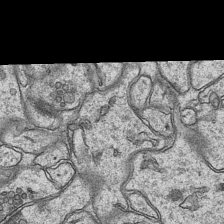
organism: Mouse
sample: CA1 Hippocampus